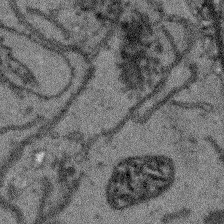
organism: Arabidopsis thaliana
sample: Root tip